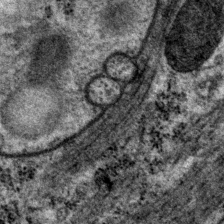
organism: P. pacificus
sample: Pharynx